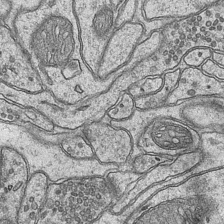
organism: Mouse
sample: CA1 Hippocampus